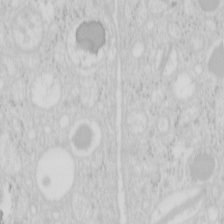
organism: Mouse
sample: Pancreas